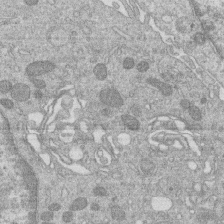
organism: Human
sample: Macrophage cells